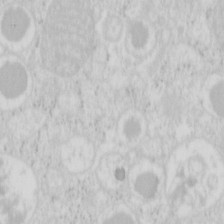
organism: Mouse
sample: Pancreas